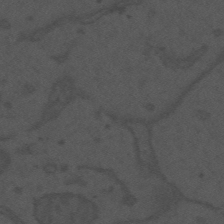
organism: Mouse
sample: Suprachiasmatic nucleus